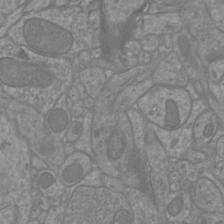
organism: Mouse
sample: Cortical neurons